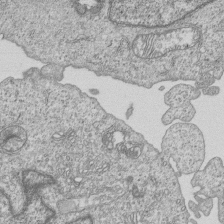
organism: Human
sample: MDA-MB-231 cells